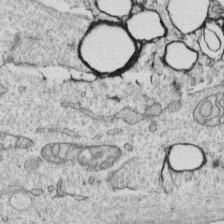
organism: Human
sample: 1205lu cells